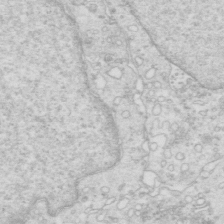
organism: Mouse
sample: Multiciliated cells